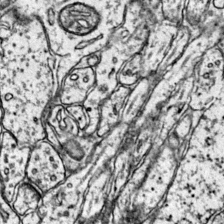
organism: Mouse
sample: Primary visual cortex